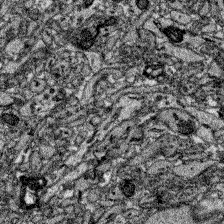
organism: Zebrafish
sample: Larval olfactory bulb